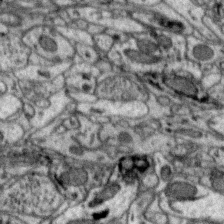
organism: Zebra finch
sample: Brain